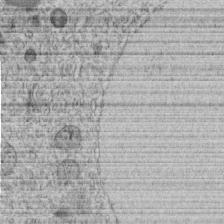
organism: C. elegans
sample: C. elegans embryo early stage